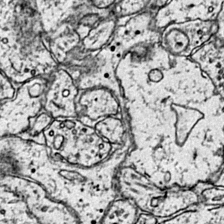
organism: Mouse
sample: Primary visual cortex